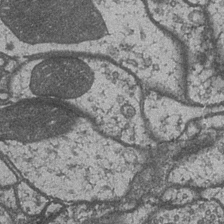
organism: Drosophila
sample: Optic medulla